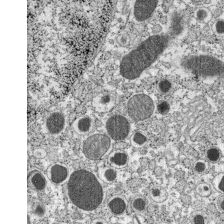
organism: C57BL Mouse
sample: Pancreatic islet